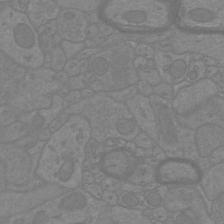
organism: Mouse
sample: Cortical neurons